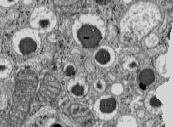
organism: C57BL Mouse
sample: Pancreatic islet